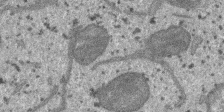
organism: Human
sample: Lung epithelial cells infected with SARS-CoV-2